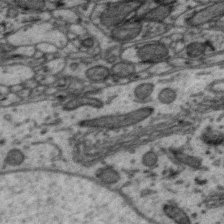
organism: Zebra finch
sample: Brain